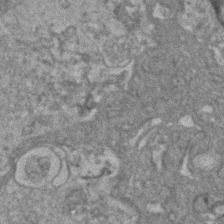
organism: Human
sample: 1205lu cells